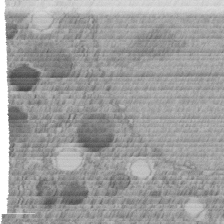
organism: C. elegans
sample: C. elegans embryo early stage